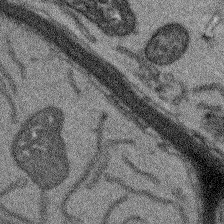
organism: Arabidopsis thaliana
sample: Root tip